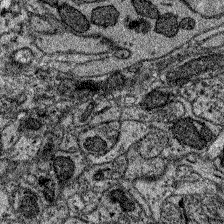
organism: Zebrafish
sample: Larval olfactory bulb